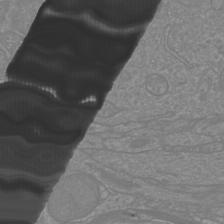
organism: Mouse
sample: Cortical neurons